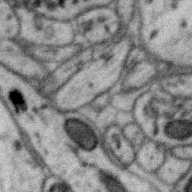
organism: Zebra finch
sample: Brain